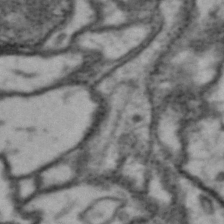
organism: Drosophila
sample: Brain